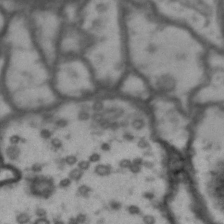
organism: Drosophila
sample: Brain